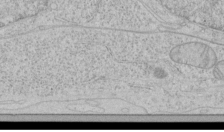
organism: Human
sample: Mitochondria in HCT116 cells